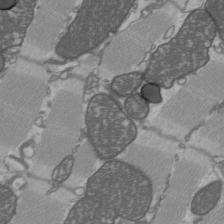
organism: C57BL Mouse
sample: Heart